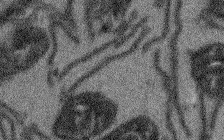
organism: Arabidopsis thaliana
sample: Root tip